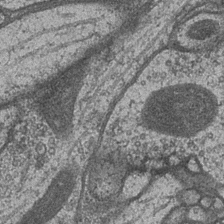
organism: Drosophila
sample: Optic medulla